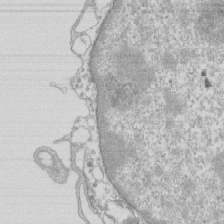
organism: Mouse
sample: Macrophages